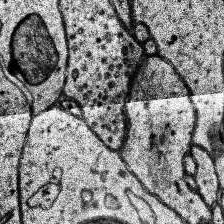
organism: Human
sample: Temporal Lobe